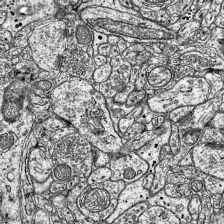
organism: Mouse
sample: Visual Cortex